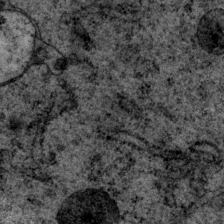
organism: P. pacificus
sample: Pharynx